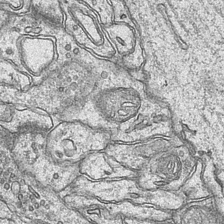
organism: Mouse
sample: CA1 Hippocampus